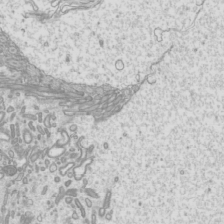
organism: Mouse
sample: Cilia; mouse epididymis